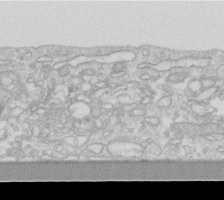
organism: Human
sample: Fibroblast cells